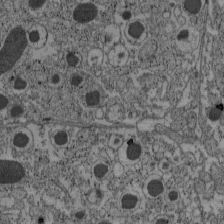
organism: C57BL Mouse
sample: Pancreatic islet